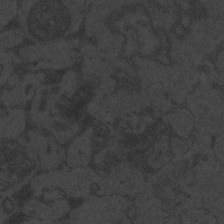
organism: Zebrafish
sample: Macrophage infected with Toxoplasma gondii